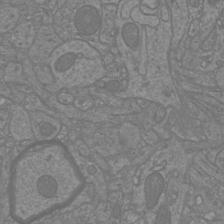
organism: Mouse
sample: Cortical neurons